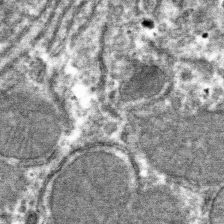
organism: Mouse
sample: Mouse hepatocytes